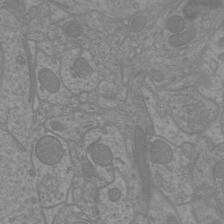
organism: Mouse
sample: Cortical neurons